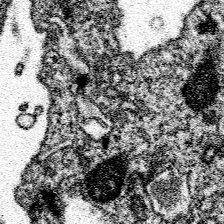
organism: Spongilla lacustris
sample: Neuroid cell